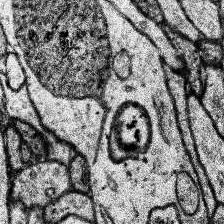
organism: Human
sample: Temporal Lobe